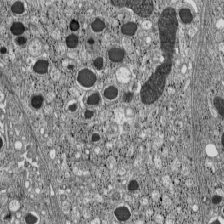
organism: C57BL Mouse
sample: Pancreatic islet